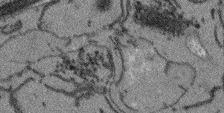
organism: Arabidopsis thaliana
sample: Root tip